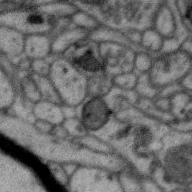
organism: Zebra finch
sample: Brain